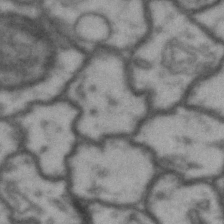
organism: Drosophila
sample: Brain